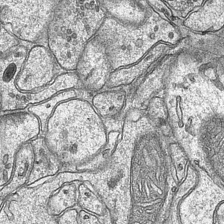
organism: Mouse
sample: CA1 Hippocampus